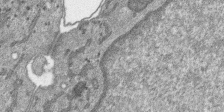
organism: Human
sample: Lung epithelial cells infected with SARS-CoV-2